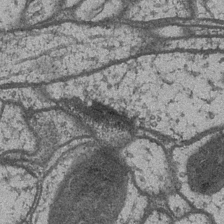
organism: Drosophila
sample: Optic medulla